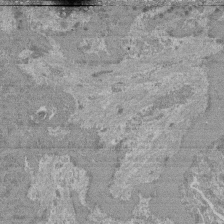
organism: Mouse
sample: Glomerulus